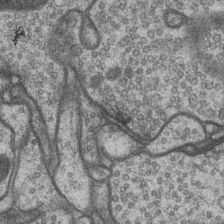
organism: Drosophila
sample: Optic medulla